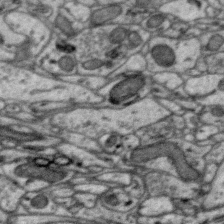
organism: Zebra finch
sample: Brain